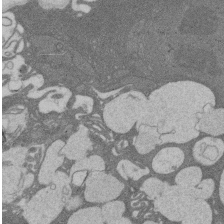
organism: Rat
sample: Salivary granule